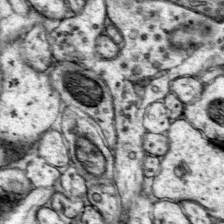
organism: Mouse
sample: Primary visual cortex